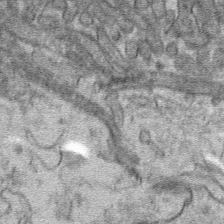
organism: Mouse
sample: Mouse hepatocytes